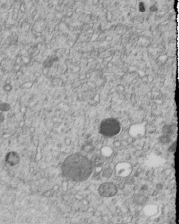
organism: C. elegans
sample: C. elegans embryo early stage